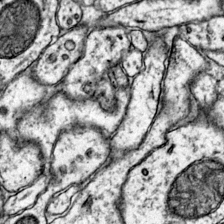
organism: Mouse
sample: Primary visual cortex